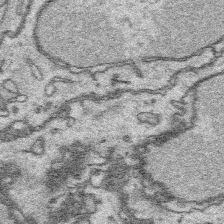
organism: Platynereis dumerilii